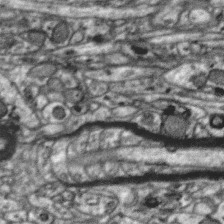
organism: Zebra finch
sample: Brain